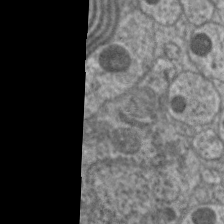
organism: C. elegans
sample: Pharynx